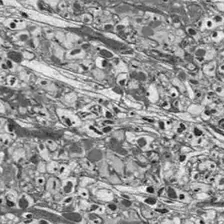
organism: Drosophila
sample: Optic lobe